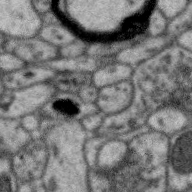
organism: Zebra finch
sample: Brain